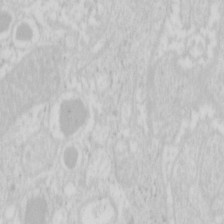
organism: Mouse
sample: Pancreas